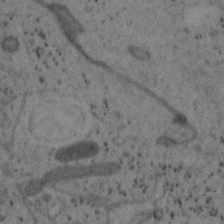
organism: Human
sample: HeLa cells